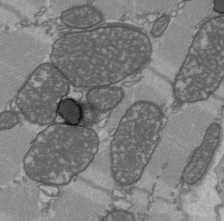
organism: C57BL Mouse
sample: Heart